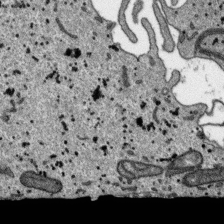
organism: Human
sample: Lung epithelial cells, uninfected (mock) control